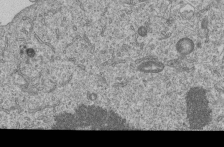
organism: Human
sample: MDA-MB-231 cells